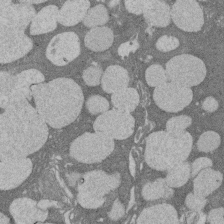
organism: Rat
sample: Salivary granule